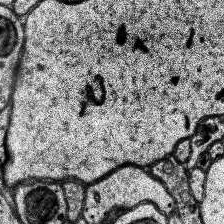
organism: Human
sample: Temporal Lobe